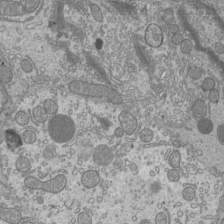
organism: Mouse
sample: Cilia; mouse epididymis